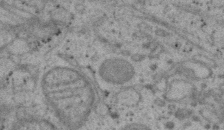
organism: Human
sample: HeLa cells